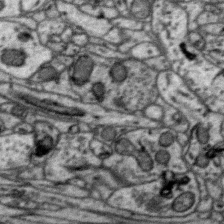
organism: Zebra finch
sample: Brain